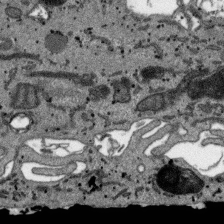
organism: Human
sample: Lung epithelial cells, uninfected (mock) control